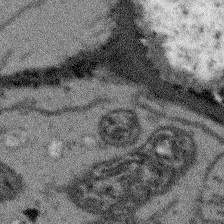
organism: Arabidopsis thaliana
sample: Root tip